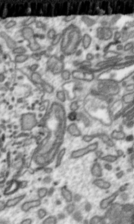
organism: Toxoplasma gondii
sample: Parasites in a vacuole inside a host cell